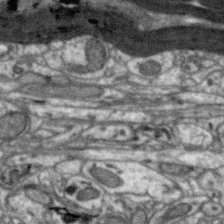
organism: Zebra finch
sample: Brain